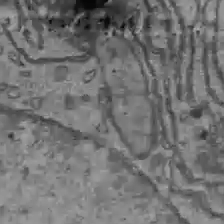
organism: C57BL Mouse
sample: Liver